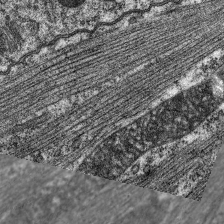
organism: C. elegans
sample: Pharynx